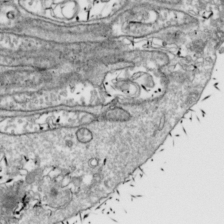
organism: Drosophila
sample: Cell division; meiosis; drosophila spermatocytes